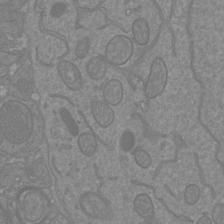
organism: Mouse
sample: Cortical neurons